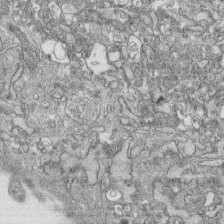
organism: Human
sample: CRL-1474